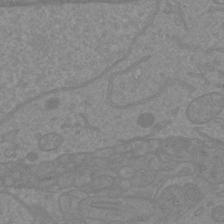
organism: Mouse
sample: Cortical neurons